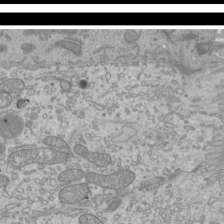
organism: Mouse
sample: Cilia; mouse epididymis